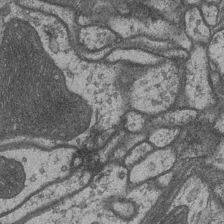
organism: Drosophila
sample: Optic medulla